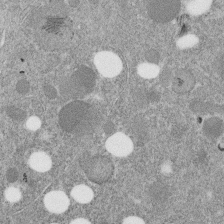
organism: C. elegans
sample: C. elegans embryo early stage